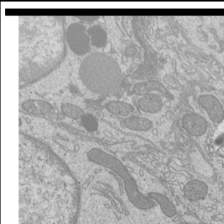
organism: Mouse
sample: Cilia; mouse epididymis